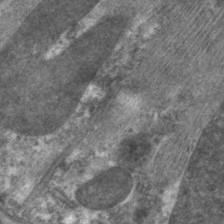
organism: C. elegans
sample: Pharynx